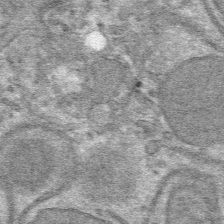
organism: Mouse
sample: Mouse hepatocytes